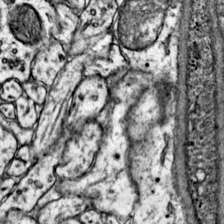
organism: Mouse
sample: Primary visual cortex